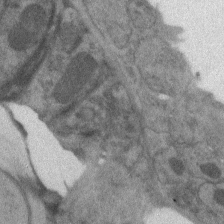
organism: C. elegans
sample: Pharynx